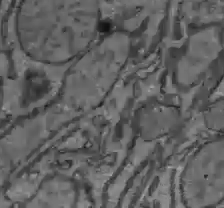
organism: C57BL Mouse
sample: Liver